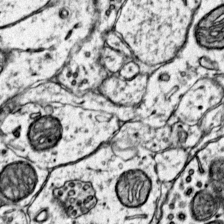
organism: Mouse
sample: Primary visual cortex